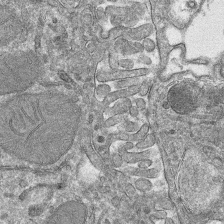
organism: Mouse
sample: Mouse hepatocytes